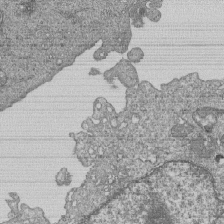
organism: Human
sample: MDA-MB-231 cells